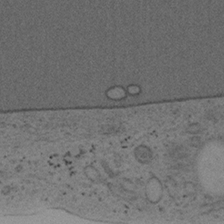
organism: Human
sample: HeLa cells